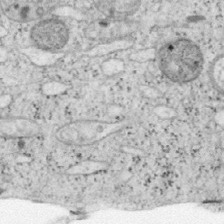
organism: Mouse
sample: OT-I killer T cells with ID8 ovarian cancer cells